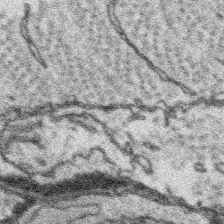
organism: Platynereis dumerilii